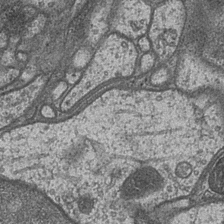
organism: Drosophila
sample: Optic medulla